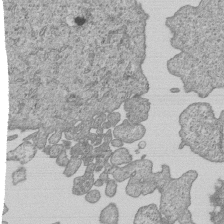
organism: Human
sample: MDA-MB-231 cells